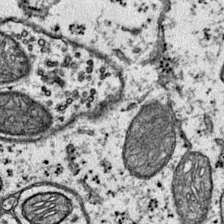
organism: Mouse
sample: Primary visual cortex